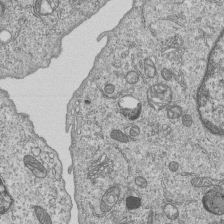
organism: Human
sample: MDA-MB-231 cells